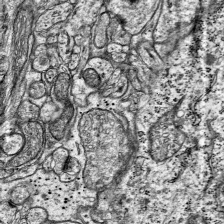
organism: Mouse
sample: Visual Cortex